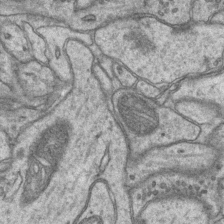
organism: Mouse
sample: CA1 Hippocampus